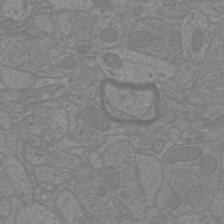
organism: Mouse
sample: Cortical neurons